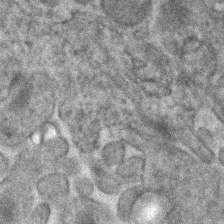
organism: Human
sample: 1205lu cells